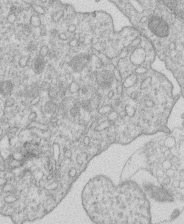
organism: Human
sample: Macrophage cells